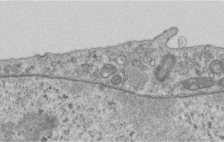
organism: Human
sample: Centriole in RPE cells